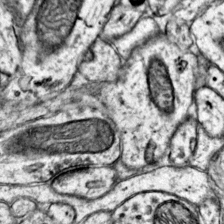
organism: Mouse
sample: Primary visual cortex